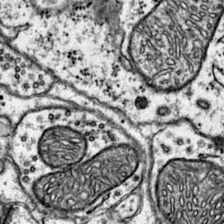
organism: Mouse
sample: Primary visual cortex